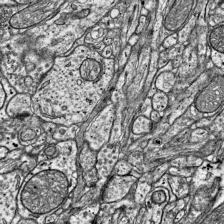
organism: Mouse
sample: Visual Cortex